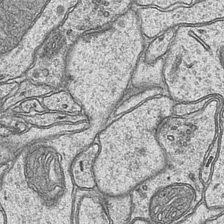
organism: Mouse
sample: CA1 Hippocampus